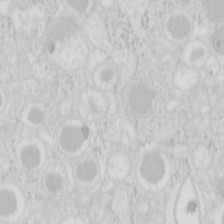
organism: Mouse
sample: Pancreas